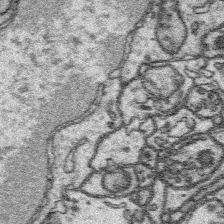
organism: Platynereis dumerilii